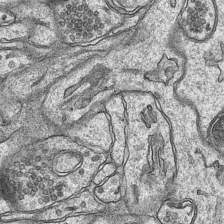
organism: Mouse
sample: CA1 Hippocampus